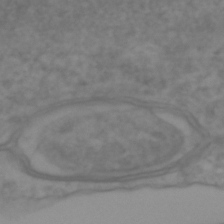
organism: Zebrafish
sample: Zebrafish embryo